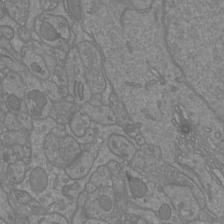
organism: Mouse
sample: Cortical neurons